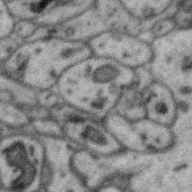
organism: Zebra finch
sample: Brain